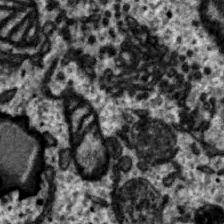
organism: Human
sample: HeLa cells